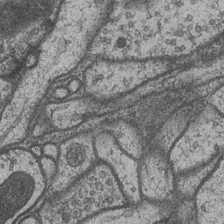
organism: Drosophila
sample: Optic medulla